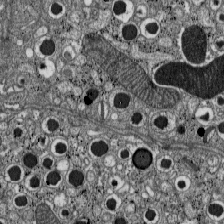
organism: C57BL Mouse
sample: Pancreatic islet